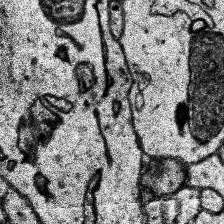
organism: Human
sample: Temporal Lobe